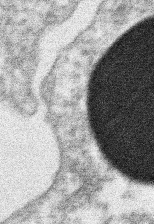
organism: Xenopus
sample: Cilia; centrioles in frog embryo cells